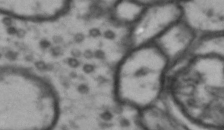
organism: Drosophila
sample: Brain